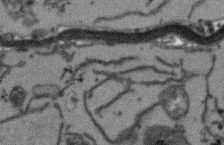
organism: Arabidopsis thaliana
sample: Root tip